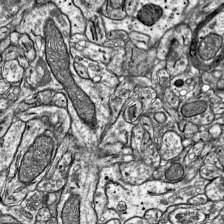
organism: Mouse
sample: Visual Cortex